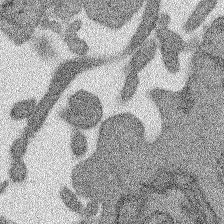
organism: Human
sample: HeLa cells